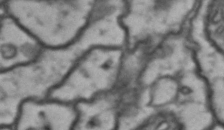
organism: Drosophila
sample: Brain